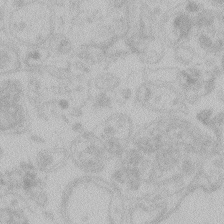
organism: Zebrafish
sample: Macrophage infected with Toxoplasma gondii